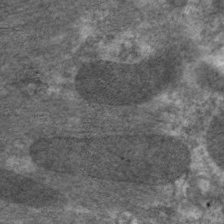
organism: C. elegans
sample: Pharynx